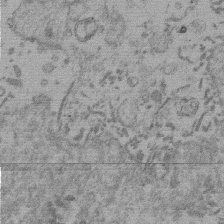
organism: Mouse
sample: Dividing mouse embryo 1 cell stage